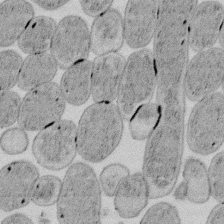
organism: E. coli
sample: Bacterial nucleoid